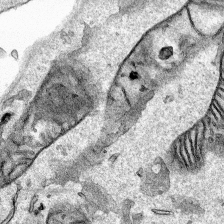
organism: Human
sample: Mitochondria in HCT116 cells